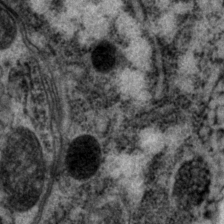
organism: P. pacificus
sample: Pharynx